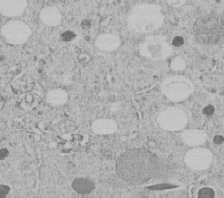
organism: C. elegans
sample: C. elegans embryo early stage